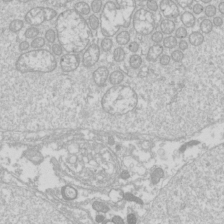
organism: Drosophila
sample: Cell division; meiosis; drosophila spermatocytes